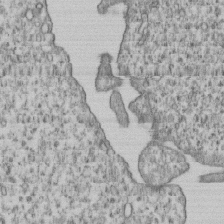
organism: Human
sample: MDA-MB-231 cells